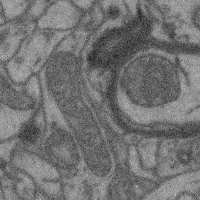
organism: Mouse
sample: Cerebral cortex